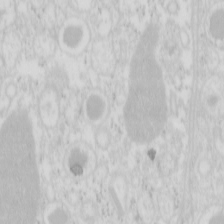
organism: Mouse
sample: Pancreas